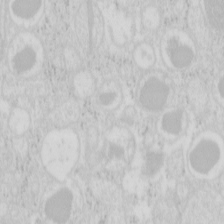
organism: Mouse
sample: Pancreas